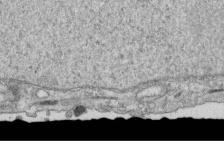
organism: Human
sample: HeLa cell HIV synapse